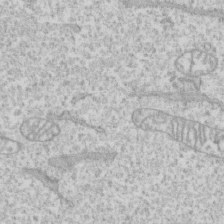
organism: Human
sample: CRL-1474